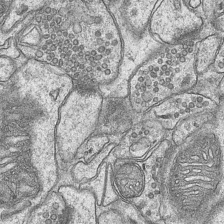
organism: Mouse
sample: CA1 Hippocampus